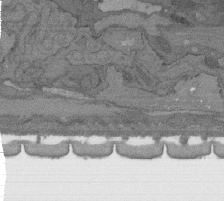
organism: C. elegans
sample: AFD neurons C. elegans